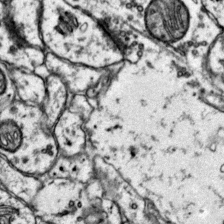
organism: Mouse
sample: Primary visual cortex